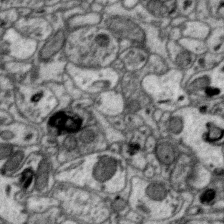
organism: Zebra finch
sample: Brain